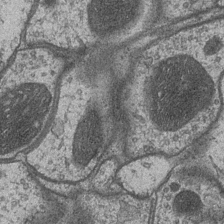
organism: Drosophila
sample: Optic medulla